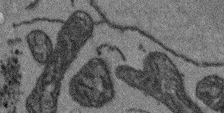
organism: Arabidopsis thaliana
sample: Root tip